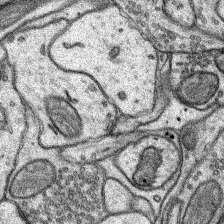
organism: Rat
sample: Hippocampus